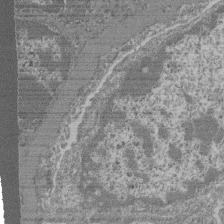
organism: Mouse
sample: Glomerulus